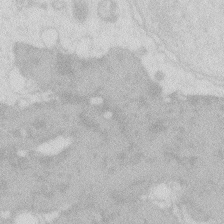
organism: Zebrafish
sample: Macrophage